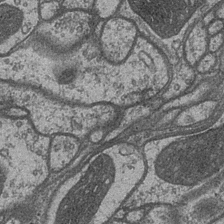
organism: Drosophila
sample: Optic medulla